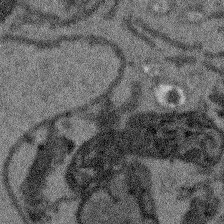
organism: Arabidopsis thaliana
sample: Root tip